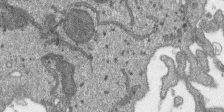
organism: Human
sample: Lung epithelial cells infected with SARS-CoV-2